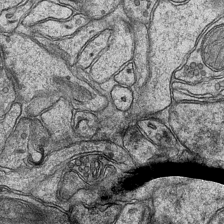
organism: Mouse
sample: CA1 Hippocampus